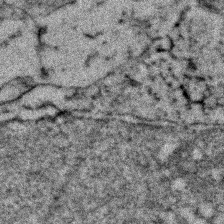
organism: Zebrafish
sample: Zebrafish embryo